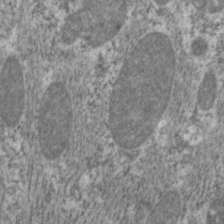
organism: C. elegans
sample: Pharynx